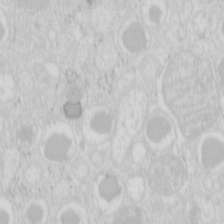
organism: Mouse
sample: Pancreas